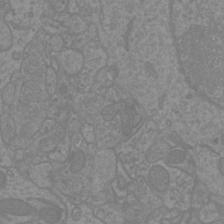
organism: Mouse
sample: Cortical neurons